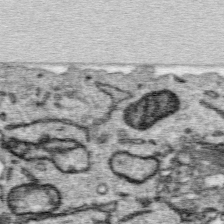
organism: Human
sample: HeLa cells